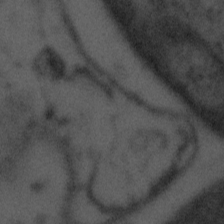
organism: Tuwongella immobilis